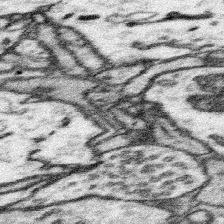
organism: Mouse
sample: Somatosensory cortex neuropil